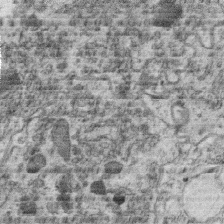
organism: C. elegans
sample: C. elegans oocyte; sperm cells